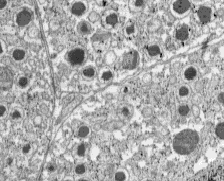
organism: C57BL Mouse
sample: Pancreatic islet